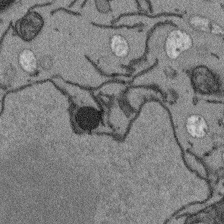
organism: Arabidopsis thaliana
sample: Root tip